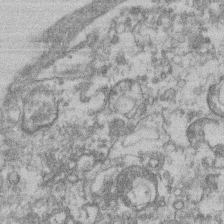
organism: Mouse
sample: T cell stromal cell synapse